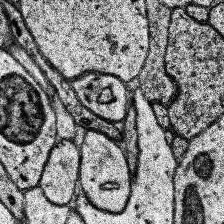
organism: Human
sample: Temporal Lobe